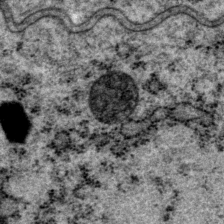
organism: P. pacificus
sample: Pharynx